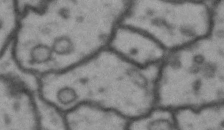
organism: Drosophila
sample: Brain